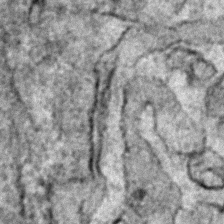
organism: Zebrafish